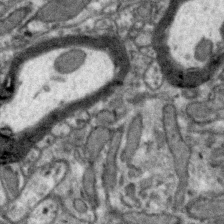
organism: Zebra finch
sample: Brain